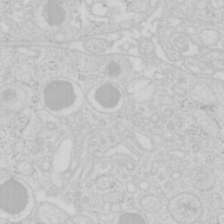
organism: Mouse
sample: Pancreas